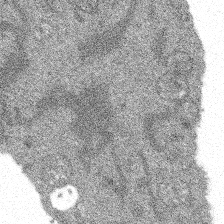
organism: Spongilla lacustris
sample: Multiple